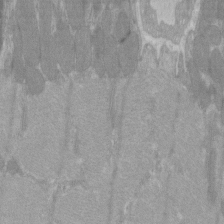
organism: C57BL Mouse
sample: Tibialis anterior muscle cell